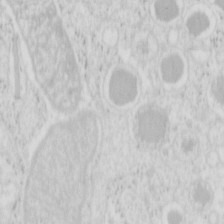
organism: Mouse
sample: Pancreas